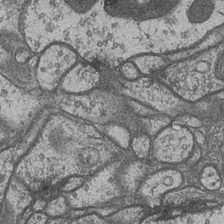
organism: Drosophila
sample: Optic medulla